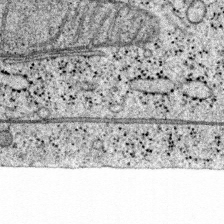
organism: Human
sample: HeLa cells